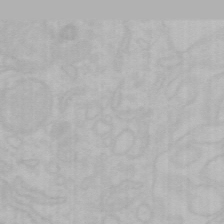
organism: Mouse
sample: Choroid plexus